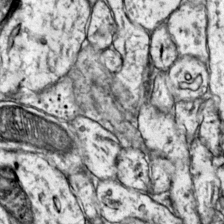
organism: Mouse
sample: Primary visual cortex